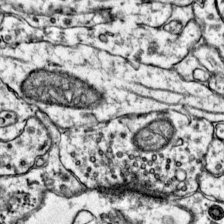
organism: Mouse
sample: Primary visual cortex